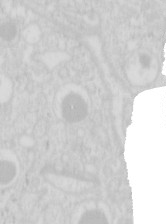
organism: Mouse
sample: Pancreas